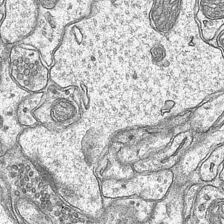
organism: Mouse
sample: CA1 Hippocampus